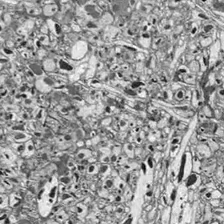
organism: Drosophila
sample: Optic lobe